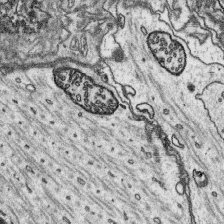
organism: Platynereis dumerilii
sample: Parapodia